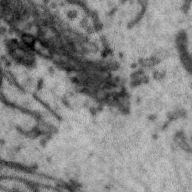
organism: Zebra finch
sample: Brain